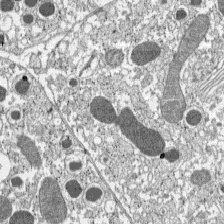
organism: C57BL Mouse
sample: Pancreatic islet